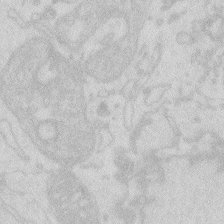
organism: Zebrafish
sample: Macrophage